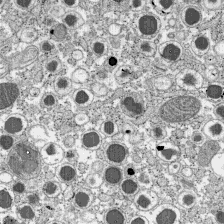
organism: C57BL Mouse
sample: Pancreatic islet